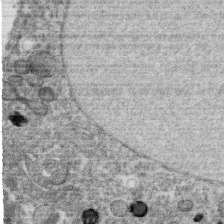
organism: C. elegans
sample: C. elegans oocyte; sperm cells